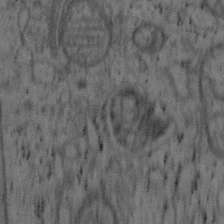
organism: Human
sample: HeLa cells